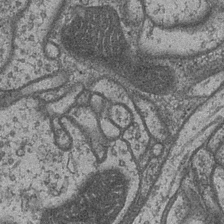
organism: Drosophila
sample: Optic medulla